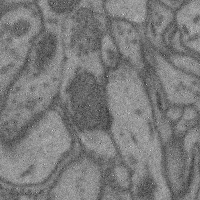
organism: Mouse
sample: Cerebral cortex